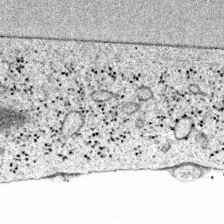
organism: Human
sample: HeLa cells